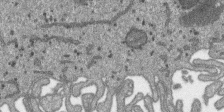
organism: Human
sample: Lung epithelial cells infected with SARS-CoV-2